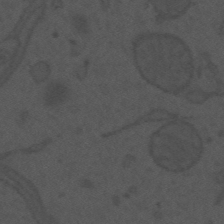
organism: Mouse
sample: Suprachiasmatic nucleus